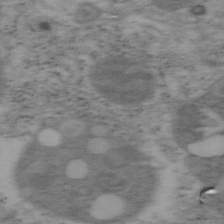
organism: Mouse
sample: OT-I killer T cells with ID8 ovarian cancer cells